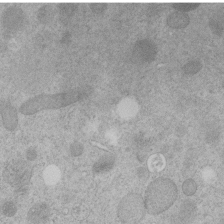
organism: C. elegans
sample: C. elegans embryo early stage